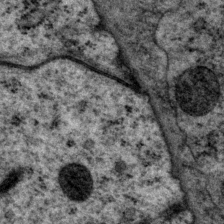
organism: P. pacificus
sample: Pharynx